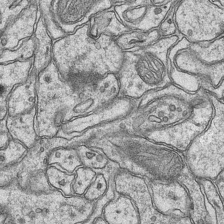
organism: Mouse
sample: CA1 Hippocampus